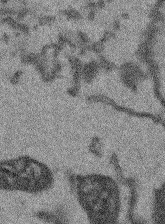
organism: Arabidopsis thaliana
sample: Root tip